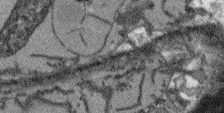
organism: Arabidopsis thaliana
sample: Root tip